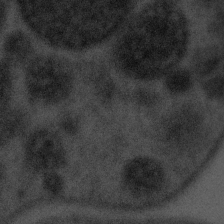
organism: Tuwongella immobilis